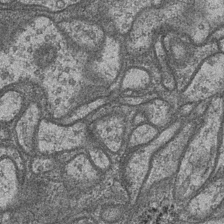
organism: Drosophila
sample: Optic medulla